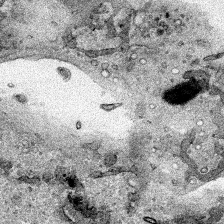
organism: Human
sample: Mitochondria in HCT116 cells